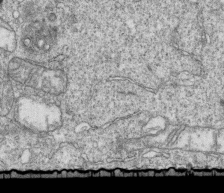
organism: Human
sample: HeLa cell HIV synapse